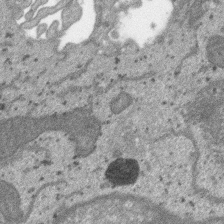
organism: Human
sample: Lung epithelial cells infected with SARS-CoV-2